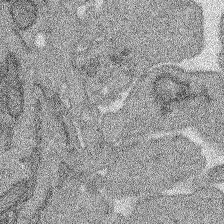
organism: Human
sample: HeLa cells